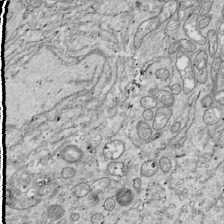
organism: Drosophila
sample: Cell division; meiosis; drosophila spermatocytes